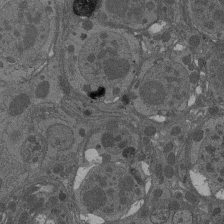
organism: Drosophila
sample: Antenna